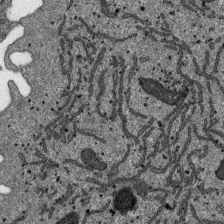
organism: Human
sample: Lung epithelial cells infected with SARS-CoV-2